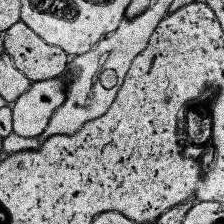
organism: Human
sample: Temporal Lobe